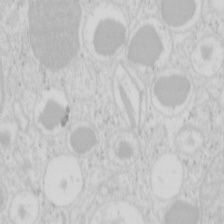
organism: Mouse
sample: Pancreas